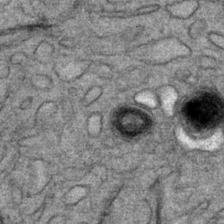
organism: Mouse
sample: Mouse Salivary gland